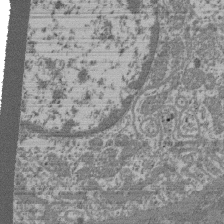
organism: Mouse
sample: Glomerulus